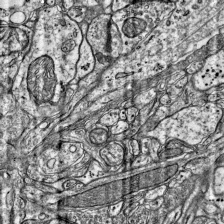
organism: Mouse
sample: Visual Cortex